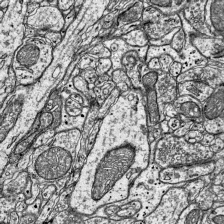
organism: Mouse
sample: Visual Cortex